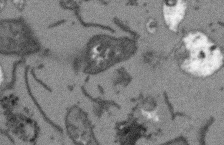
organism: Arabidopsis thaliana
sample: Root tip